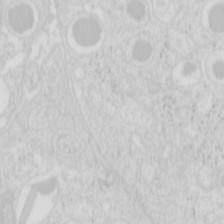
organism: Mouse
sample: Pancreas